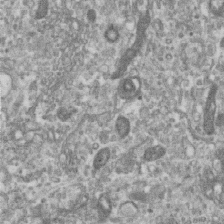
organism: Human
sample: Centriole in RPE cells